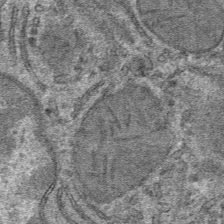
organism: Mouse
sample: Mouse hepatocytes